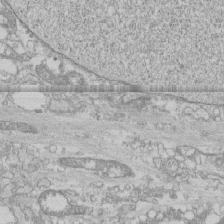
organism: Human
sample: CRL-1474